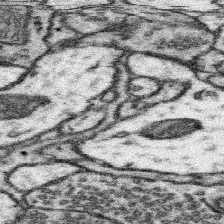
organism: Mouse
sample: Somatosensory cortex neuropil